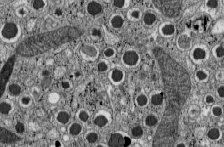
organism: C57BL Mouse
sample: Pancreatic islet